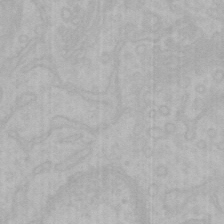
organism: Mouse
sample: Choroid plexus